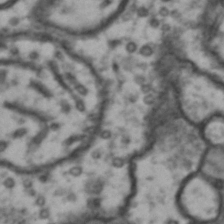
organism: Drosophila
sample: Brain